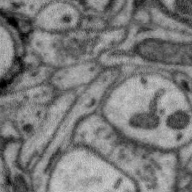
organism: Zebra finch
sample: Brain